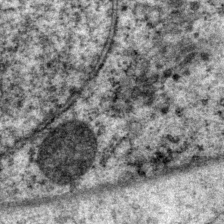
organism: P. pacificus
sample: Pharynx